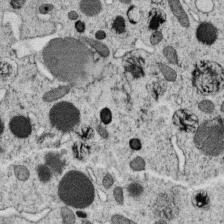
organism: C. elegans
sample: C. elegans oocyte; sperm cells